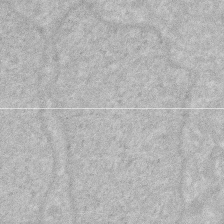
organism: Human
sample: HIV infected U937 cells